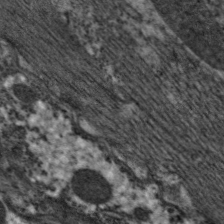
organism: C. elegans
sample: Pharynx